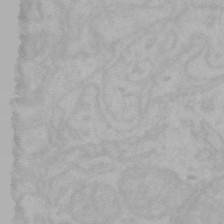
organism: Mouse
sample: Choroid plexus